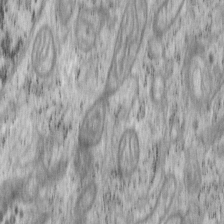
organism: Human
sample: HeLa cells